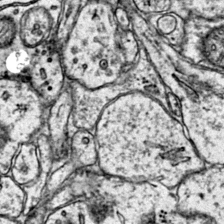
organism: Mouse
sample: Primary visual cortex